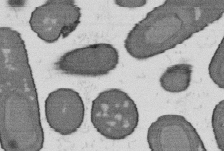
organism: B. subtilis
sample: Bacterial spore